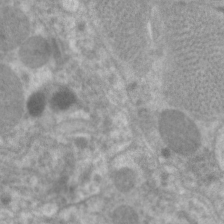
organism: C. elegans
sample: Pharynx